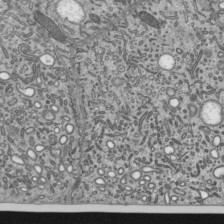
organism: Mouse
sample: Mouse epididymis efferent ductule cilia